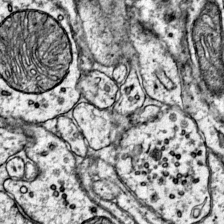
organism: Mouse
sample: Primary visual cortex